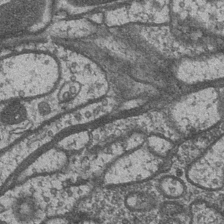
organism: Drosophila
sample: Optic medulla